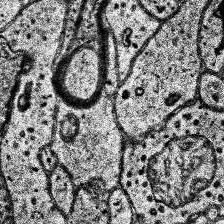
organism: Human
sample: Temporal Lobe